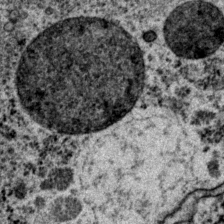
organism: P. pacificus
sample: Pharynx